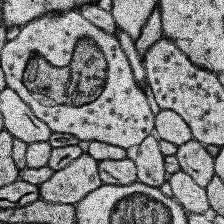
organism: Human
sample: Temporal Lobe